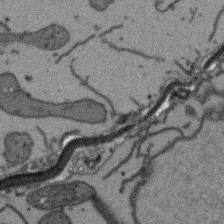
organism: Arabidopsis thaliana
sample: Root tip